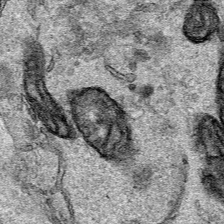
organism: Human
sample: Mitochondria in HCT116 cells